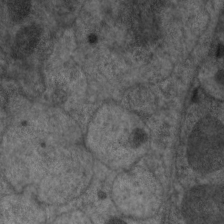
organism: C. elegans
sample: Pharynx